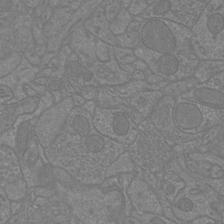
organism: Mouse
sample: Cortical neurons